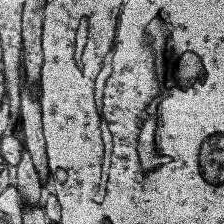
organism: Human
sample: Temporal Lobe